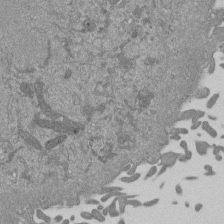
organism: Mouse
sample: ED-1 cell nuclei; centrioles